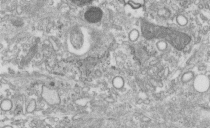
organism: Human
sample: Centriole in fibroblast cells